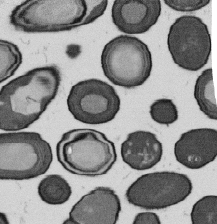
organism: B. subtilis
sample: Bacterial spore